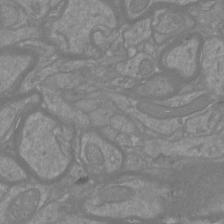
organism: Mouse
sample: Cortical neurons